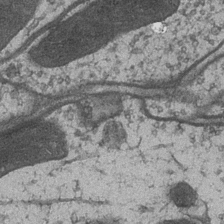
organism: Drosophila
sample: Optic medulla